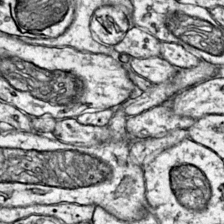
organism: Mouse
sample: Primary visual cortex